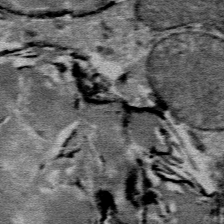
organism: Mouse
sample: Mouse Salivary gland